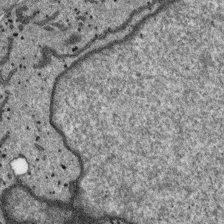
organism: Human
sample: Lung epithelial cells, uninfected (mock) control